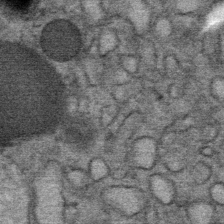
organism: Mouse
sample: Mouse Salivary gland